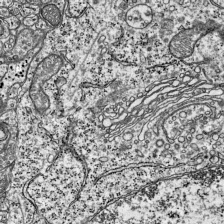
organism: Mouse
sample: Visual Cortex